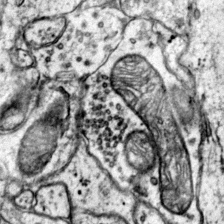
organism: Mouse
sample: Primary visual cortex